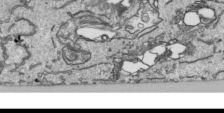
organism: Human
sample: Mitochondria in HCT116 cells